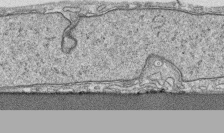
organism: Human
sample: CRL-1474